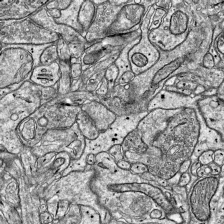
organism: Mouse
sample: Visual Cortex